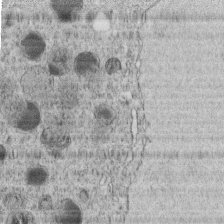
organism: C. elegans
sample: C. elegans embryo early stage